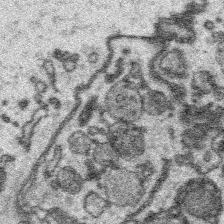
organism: Platynereis dumerilii